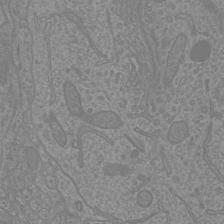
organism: Mouse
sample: Cortical neurons